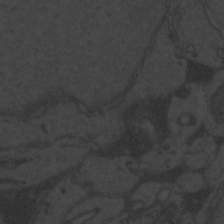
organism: Zebrafish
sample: Macrophage infected with Toxoplasma gondii